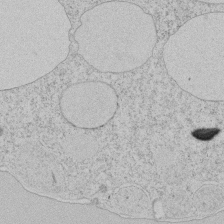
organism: Tetrahymena